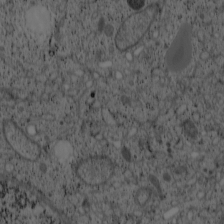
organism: African green monkey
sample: COS-7 cells